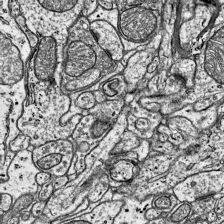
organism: Mouse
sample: Visual Cortex